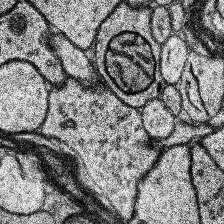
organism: Human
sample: Temporal Lobe